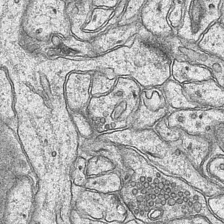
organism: Mouse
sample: CA1 Hippocampus